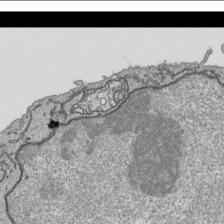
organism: Human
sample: Mitochondria in HCT116 cells